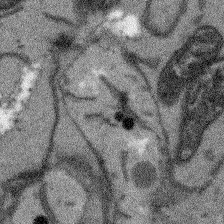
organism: Arabidopsis thaliana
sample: Root tip